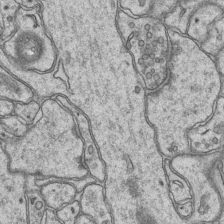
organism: Mouse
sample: CA1 Hippocampus